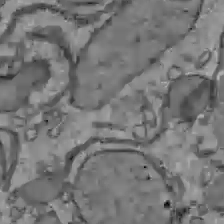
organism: C57BL Mouse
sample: Liver